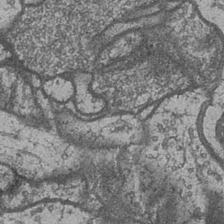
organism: Drosophila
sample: Optic medulla